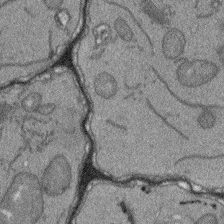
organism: Arabidopsis thaliana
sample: Root tip